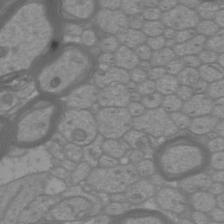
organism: Mouse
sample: Cortical neurons